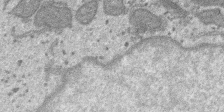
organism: Human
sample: Lung epithelial cells infected with SARS-CoV-2